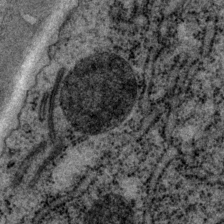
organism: P. pacificus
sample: Pharynx